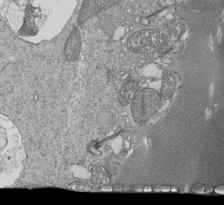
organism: Tetrahymena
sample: Cilia in tetrahymena